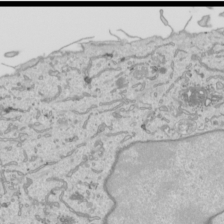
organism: Human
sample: Mitochondria in HCT116 cells